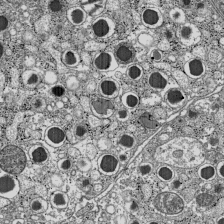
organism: C57BL Mouse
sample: Pancreatic islet